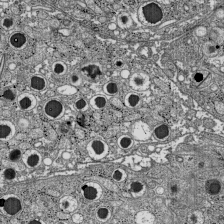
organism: C57BL Mouse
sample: Pancreatic islet